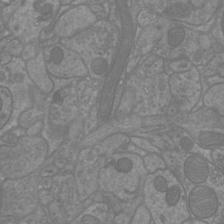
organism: Mouse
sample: Cortical neurons